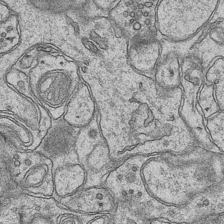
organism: Mouse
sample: CA1 Hippocampus